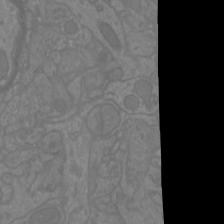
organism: Mouse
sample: Cortical neurons